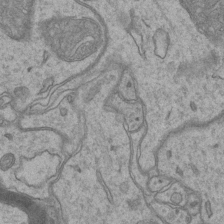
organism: Mouse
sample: CA1 Hippocampus